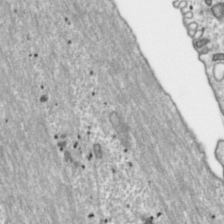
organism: Toxoplasma gondii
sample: Parasites in a vacuole inside a host cell